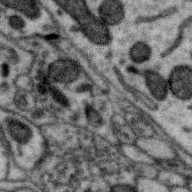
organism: Zebra finch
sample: Brain